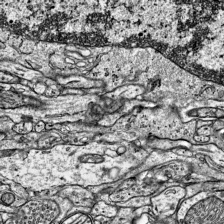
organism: Mouse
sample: Visual Cortex